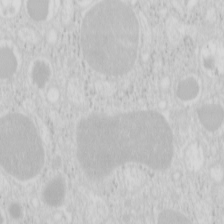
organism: Mouse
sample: Pancreas